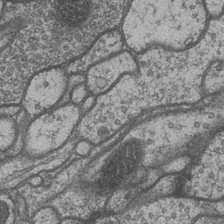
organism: Drosophila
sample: Optic medulla